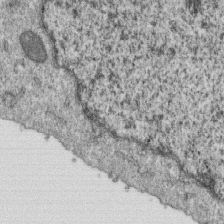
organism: African green monkey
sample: Vero E6 cells infected with SARS-CoV-2